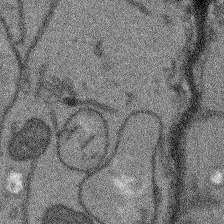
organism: Arabidopsis thaliana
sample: Root tip